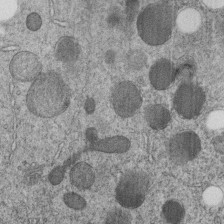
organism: C. elegans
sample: C. elegans embryo early stage